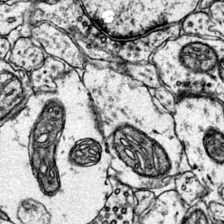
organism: Mouse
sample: Primary visual cortex